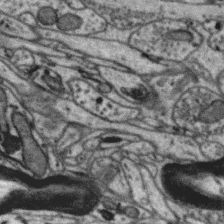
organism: Zebra finch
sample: Brain